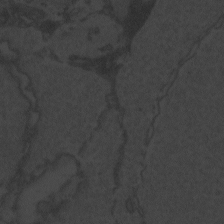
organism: Zebrafish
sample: Macrophage infected with Toxoplasma gondii